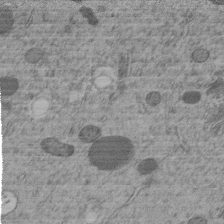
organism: C. elegans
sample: C. elegans embryo early stage